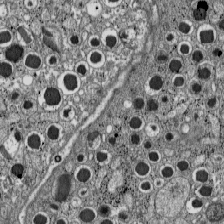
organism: C57BL Mouse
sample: Pancreatic islet